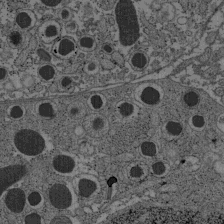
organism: C57BL Mouse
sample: Pancreatic islet